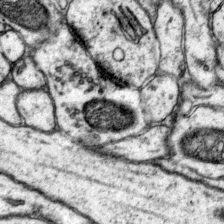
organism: Mouse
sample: Primary visual cortex